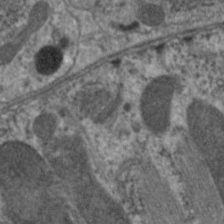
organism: C. elegans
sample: Pharynx